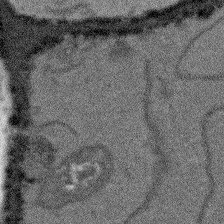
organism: Arabidopsis thaliana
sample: Root tip